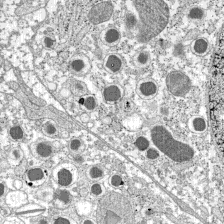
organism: C57BL Mouse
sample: Pancreatic islet